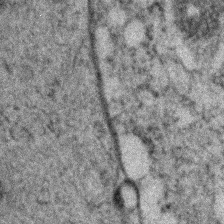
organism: Zebrafish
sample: Zebrafish embryo